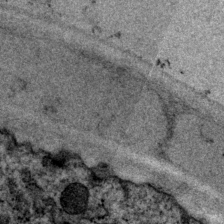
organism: P. pacificus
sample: Pharynx